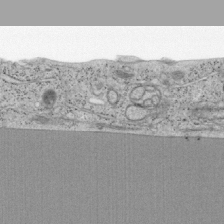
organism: Human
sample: HeLa cells